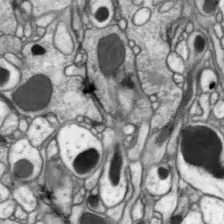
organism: Drosophila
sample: Optic lobe